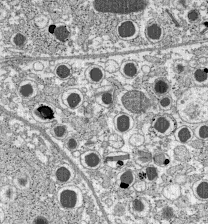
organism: C57BL Mouse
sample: Pancreatic islet